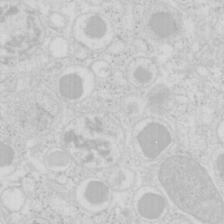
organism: Mouse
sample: Pancreas